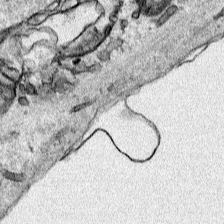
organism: Human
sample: Mitochondria in HCT116 cells